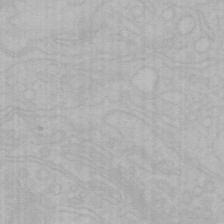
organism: Mouse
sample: Choroid plexus